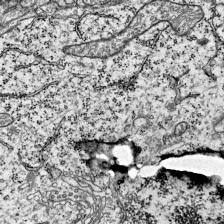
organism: Mouse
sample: Visual Cortex